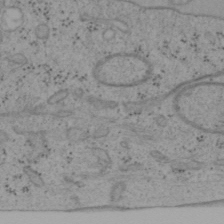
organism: Human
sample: HeLa cells